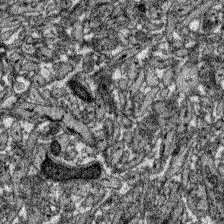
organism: Zebrafish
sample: Larval olfactory bulb